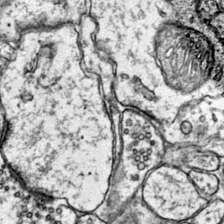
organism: Mouse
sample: Primary visual cortex